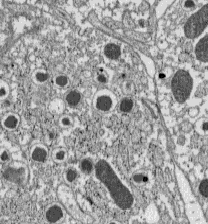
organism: C57BL Mouse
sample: Pancreatic islet